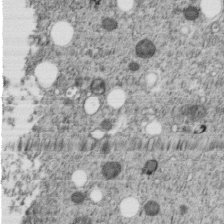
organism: C. elegans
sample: C. elegans embryo early stage